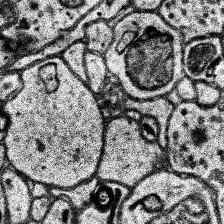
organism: Human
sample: Temporal Lobe